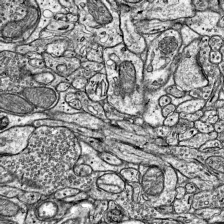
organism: Mouse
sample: Visual Cortex